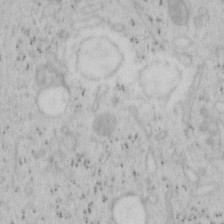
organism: Human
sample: HeLa cells